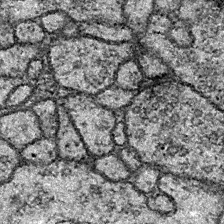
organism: Drosophila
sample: Ventral Nerve Cord